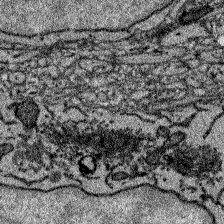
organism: Zebrafish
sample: Larval olfactory bulb